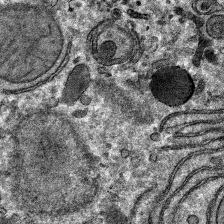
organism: Mouse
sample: Mouse hepatocytes